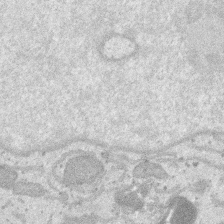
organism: Human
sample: Lung epithelial cells infected with SARS-CoV-2